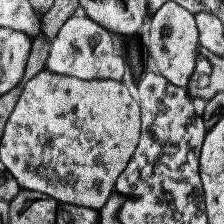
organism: Human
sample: Temporal Lobe